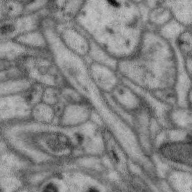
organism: Zebra finch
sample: Brain